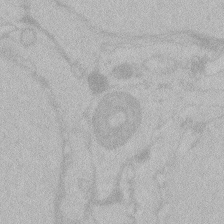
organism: Zebrafish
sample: Macrophage infected with Toxoplasma gondii